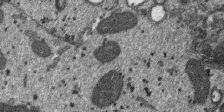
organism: Human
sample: Lung epithelial cells infected with SARS-CoV-2